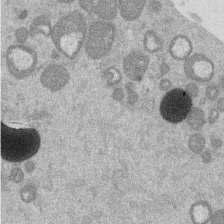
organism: Mouse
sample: Dividing mouse embryo 1 cell stage